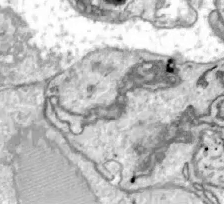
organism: Zebrafish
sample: Actinotrichia fibers